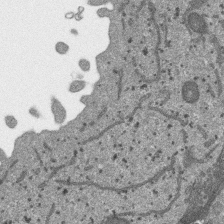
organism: Human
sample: Lung epithelial cells infected with SARS-CoV-2